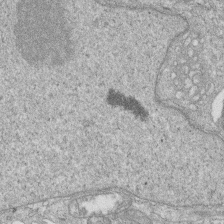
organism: Human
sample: HeLa cell HIV synapse